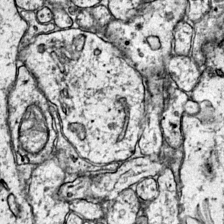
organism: Mouse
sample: Primary visual cortex